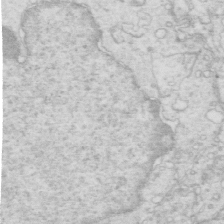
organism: Mouse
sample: Multiciliated cells